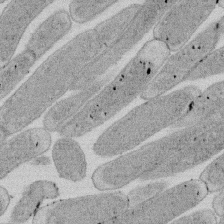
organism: E. coli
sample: Bacterial nucleoid